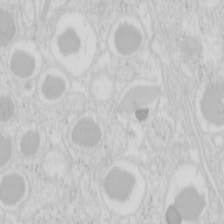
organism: Mouse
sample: Pancreas